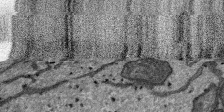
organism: Human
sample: Lung epithelial cells, uninfected (mock) control